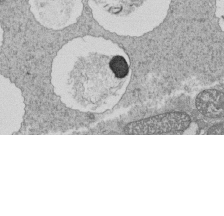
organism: Tetrahymena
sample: Cilia in tetrahymena